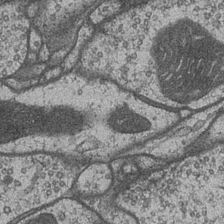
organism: Drosophila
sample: Optic medulla